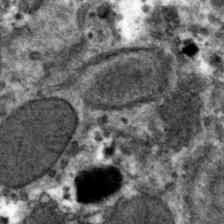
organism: Mouse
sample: Mouse hepatocytes